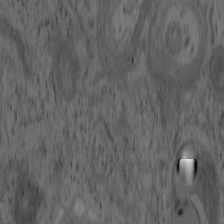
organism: Human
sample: HeLa cells